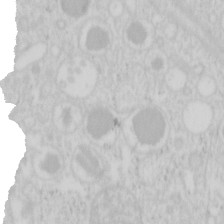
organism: Mouse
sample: Pancreas